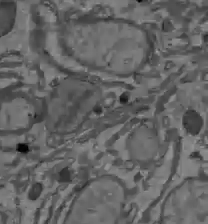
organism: C57BL Mouse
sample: Liver